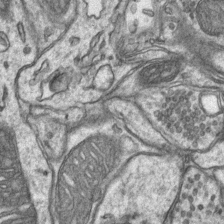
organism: Mouse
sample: CA1 Hippocampus